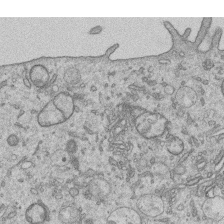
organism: Human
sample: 1205lu cells